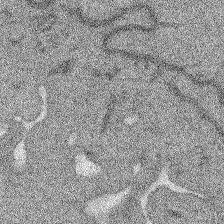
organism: Human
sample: HeLa cells